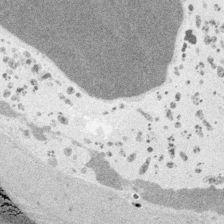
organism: Embia sp.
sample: Silk gland